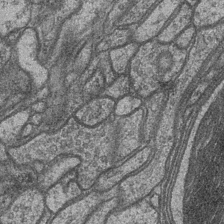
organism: Drosophila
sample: Optic medulla